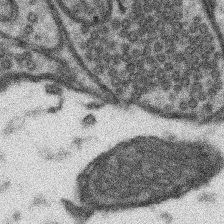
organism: Mouse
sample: Somatosensory cortex neuropil